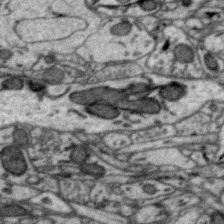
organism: Zebra finch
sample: Brain